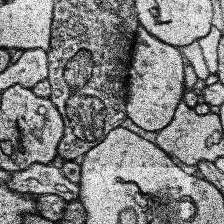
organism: Human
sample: Temporal Lobe